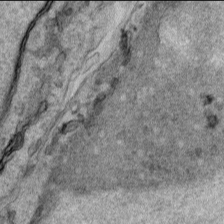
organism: Human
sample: Mitochondria in HCT116 cells